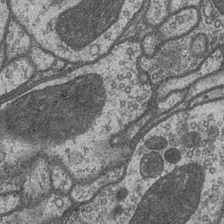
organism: Drosophila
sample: Optic medulla